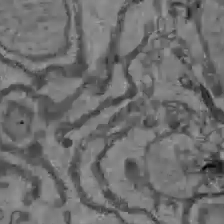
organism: C57BL Mouse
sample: Liver